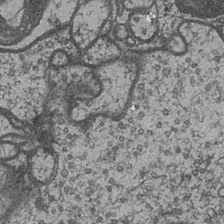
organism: Drosophila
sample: Optic medulla